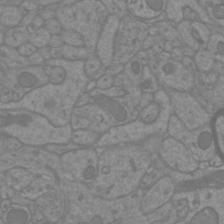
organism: Mouse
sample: Cortical neurons